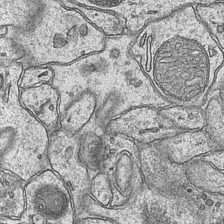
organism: Mouse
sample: CA1 Hippocampus